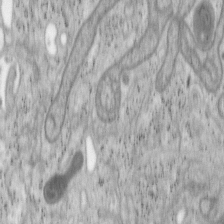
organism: Human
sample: HeLa cells